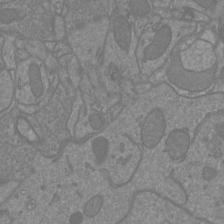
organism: Mouse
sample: Cortical neurons